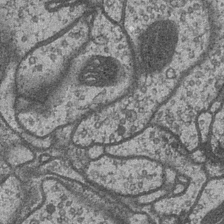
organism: Drosophila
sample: Optic medulla